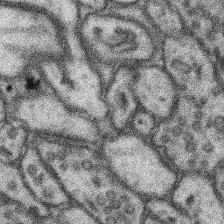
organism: Mouse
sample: Somatosensory cortex neuropil